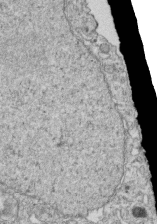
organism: Human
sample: HeLa cell HIV synapse